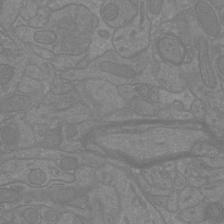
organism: Mouse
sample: Cortical neurons